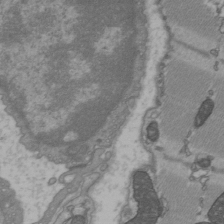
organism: C57BL Mouse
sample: Heart